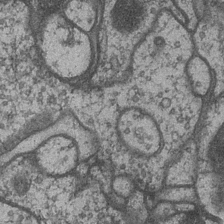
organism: Drosophila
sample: Optic medulla